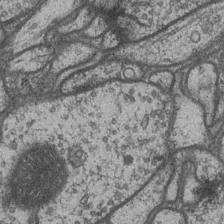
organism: Drosophila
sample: Optic medulla